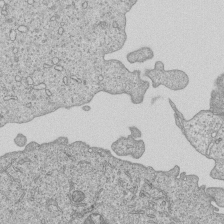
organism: Human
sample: MDA-MB-231 cells